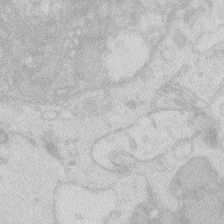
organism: Zebrafish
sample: Macrophage